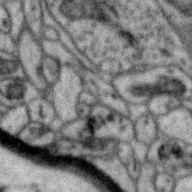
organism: Zebra finch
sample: Brain